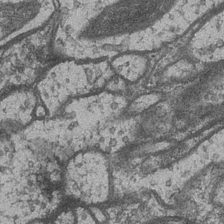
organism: Drosophila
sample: Optic medulla